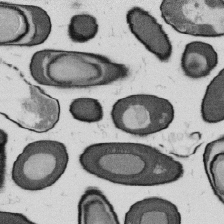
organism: B. subtilis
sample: Bacterial spore